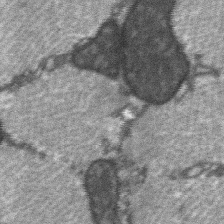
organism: C57BL Mouse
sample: Soleus